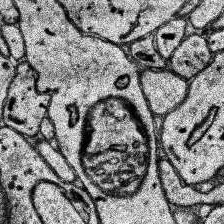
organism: Human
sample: Temporal Lobe